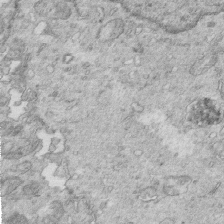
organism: Mouse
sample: Multiciliated cells